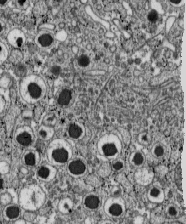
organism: C57BL Mouse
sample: Pancreatic islet